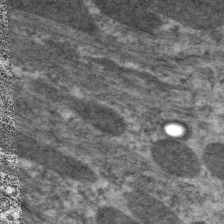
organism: C. elegans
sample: Pharynx